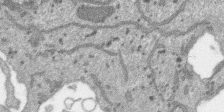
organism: Human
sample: Lung epithelial cells infected with SARS-CoV-2